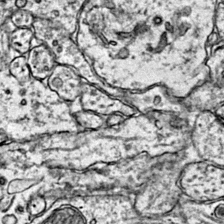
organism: Mouse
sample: Primary visual cortex